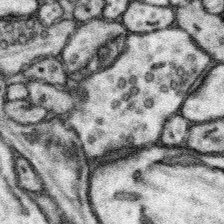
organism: Mouse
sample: Somatosensory cortex neuropil